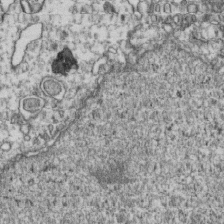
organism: Human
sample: Activated Jurkat CD4+ T cells